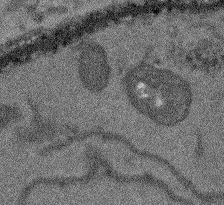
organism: Arabidopsis thaliana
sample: Root tip